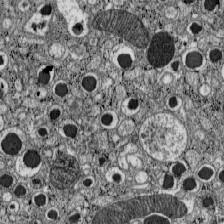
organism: C57BL Mouse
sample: Pancreatic islet